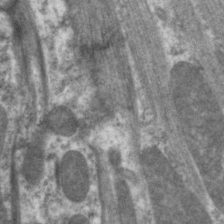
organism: C. elegans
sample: Pharynx